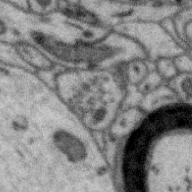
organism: Zebra finch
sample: Brain